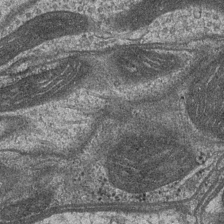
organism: Drosophila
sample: Optic medulla